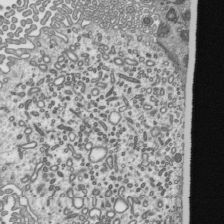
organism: Mouse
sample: Mouse epididymis efferent ductule cilia